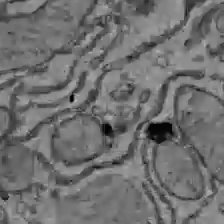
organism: C57BL Mouse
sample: Liver